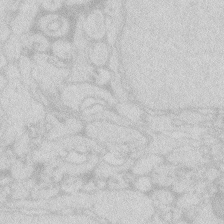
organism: Zebrafish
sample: Macrophage